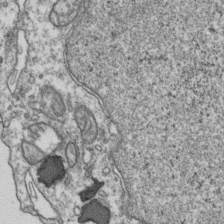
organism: Human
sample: Activated Jurkat CD4+ T cells